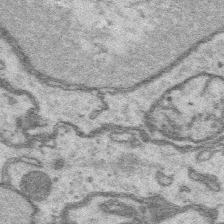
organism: Platynereis dumerilii